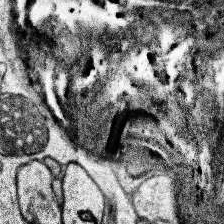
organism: Human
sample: Temporal Lobe